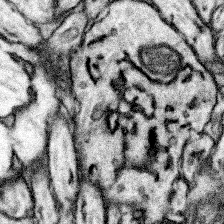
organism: Mouse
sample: Somatosensory cortex neuropil